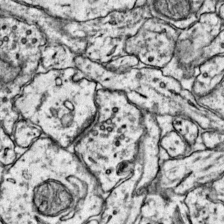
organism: Mouse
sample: Primary visual cortex